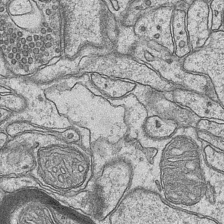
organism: Mouse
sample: CA1 Hippocampus